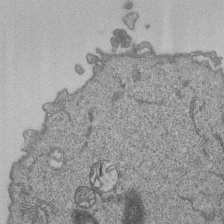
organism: Human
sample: MDA-MB-231 cells